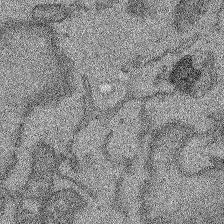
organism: Human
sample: HeLa cells